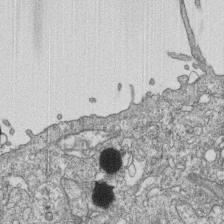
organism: Human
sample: HeLa cell HIV synapse